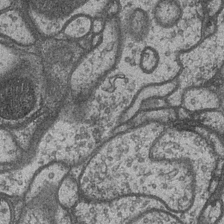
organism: Drosophila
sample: Optic medulla